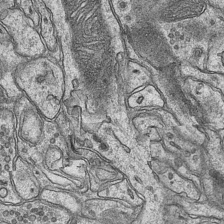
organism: Mouse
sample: CA1 Hippocampus